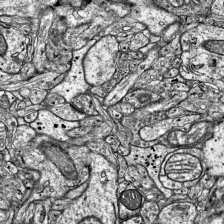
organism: Mouse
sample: Visual Cortex